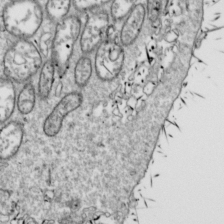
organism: Drosophila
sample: Cell division; meiosis; drosophila spermatocytes